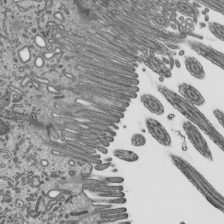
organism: Mouse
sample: Mouse epididymis efferent ductule cilia